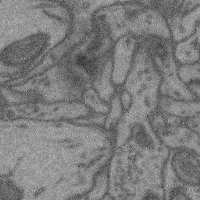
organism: Mouse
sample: Cerebral cortex